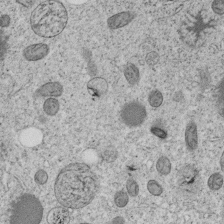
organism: C. elegans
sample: C. elegans embryo early stage